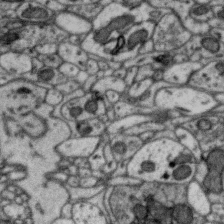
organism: Zebra finch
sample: Brain